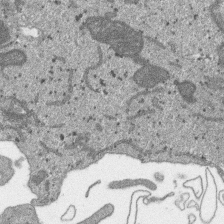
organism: Human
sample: Lung epithelial cells infected with SARS-CoV-2